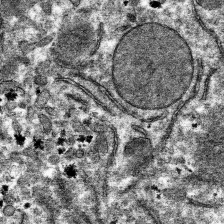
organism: Mouse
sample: Mouse hepatocytes